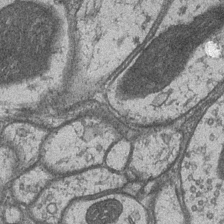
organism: Drosophila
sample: Optic medulla